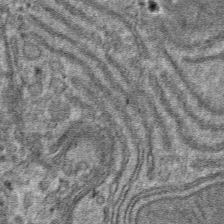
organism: Mouse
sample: Mouse hepatocytes